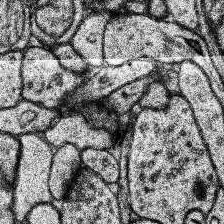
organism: Human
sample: Temporal Lobe